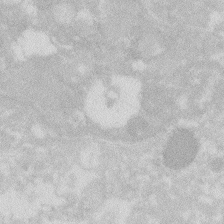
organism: Zebrafish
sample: Macrophage